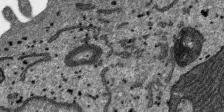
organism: Human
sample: Lung epithelial cells, uninfected (mock) control